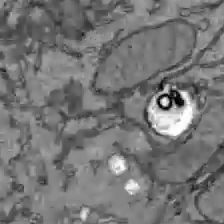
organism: C57BL Mouse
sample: Liver